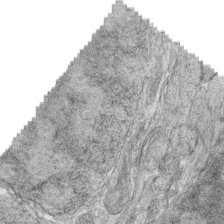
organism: Zebrafish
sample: synaptic ribbons in rod cells and cone cells